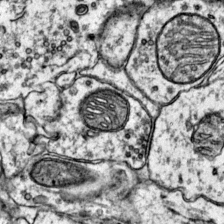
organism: Mouse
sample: Primary visual cortex